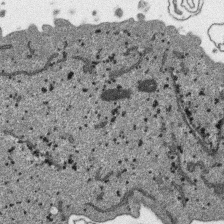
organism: Human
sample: Lung epithelial cells infected with SARS-CoV-2